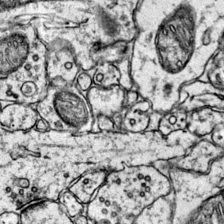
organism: Mouse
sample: Primary visual cortex